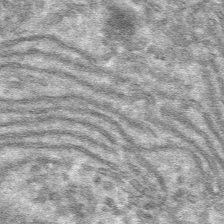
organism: Mouse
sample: Mouse hepatocytes